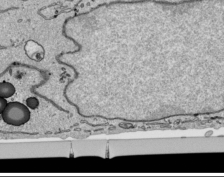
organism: Human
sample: Mitochondria in HCT116 cells